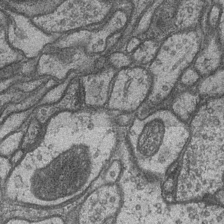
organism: Drosophila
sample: Optic medulla